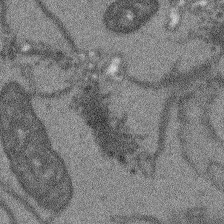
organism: Arabidopsis thaliana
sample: Root tip